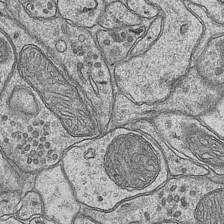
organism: Mouse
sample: CA1 Hippocampus